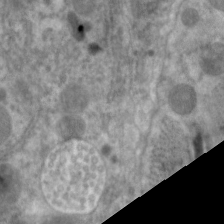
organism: C. elegans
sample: Pharynx